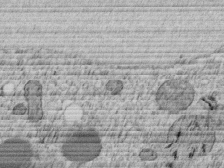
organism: C. elegans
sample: C. elegans embryo early stage